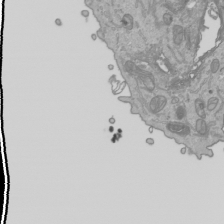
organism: Human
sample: Mitochondria in HCT116 cells